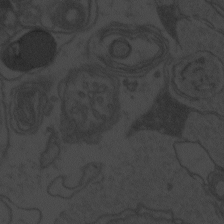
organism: Zebrafish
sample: Macrophage infected with Toxoplasma gondii